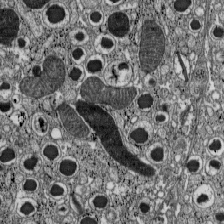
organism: C57BL Mouse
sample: Pancreatic islet